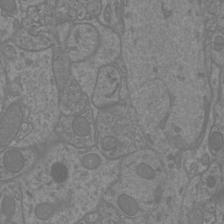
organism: Mouse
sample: Cortical neurons